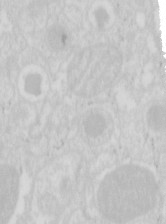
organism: Mouse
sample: Pancreas